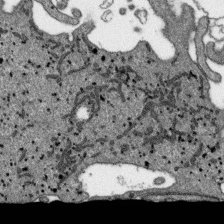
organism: Human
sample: Lung epithelial cells, uninfected (mock) control